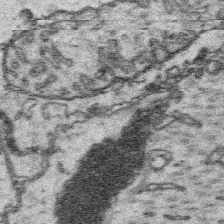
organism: Platynereis dumerilii